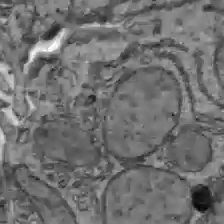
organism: C57BL Mouse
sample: Liver